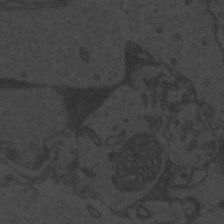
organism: Zebrafish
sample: Macrophage infected with Toxoplasma gondii